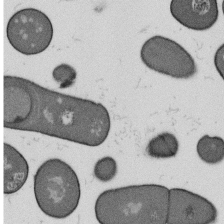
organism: B. subtilis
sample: Bacterial spore